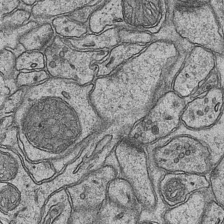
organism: Mouse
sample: CA1 Hippocampus